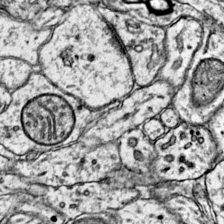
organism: Mouse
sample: Primary visual cortex